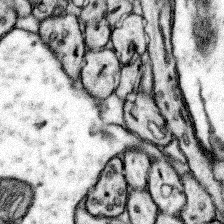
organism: Mouse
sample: Somatosensory cortex neuropil